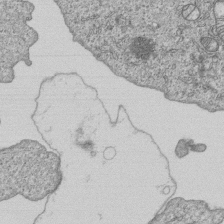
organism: Human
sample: MDA-MB-231 cells